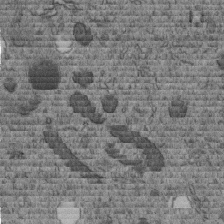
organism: C. elegans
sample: C. elegans embryo early stage